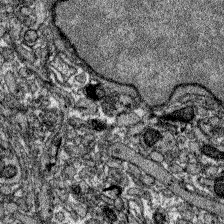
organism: Zebrafish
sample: Larval olfactory bulb